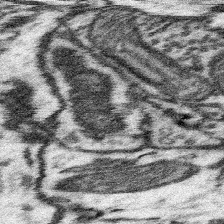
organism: Mouse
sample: Somatosensory cortex neuropil